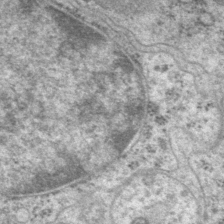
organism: P. pacificus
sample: Pharynx